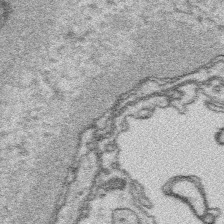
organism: Platynereis dumerilii